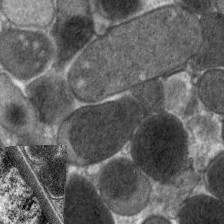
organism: C. elegans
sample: Pharynx